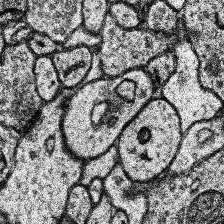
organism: Human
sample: Temporal Lobe